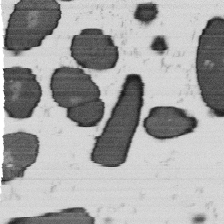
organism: B. subtilis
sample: Bacterial spore